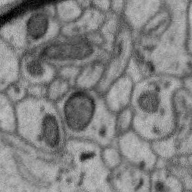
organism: Zebra finch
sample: Brain